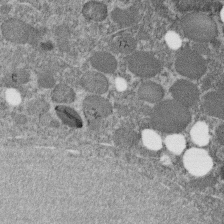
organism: C. elegans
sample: C. elegans embryo early stage